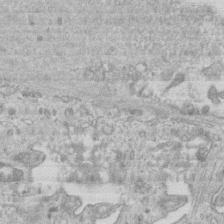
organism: Mouse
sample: Centriole in ependymal cells